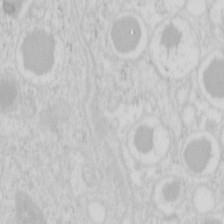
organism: Mouse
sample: Pancreas